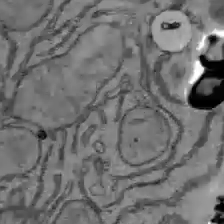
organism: C57BL Mouse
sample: Liver